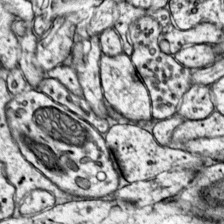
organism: Mouse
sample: Primary visual cortex